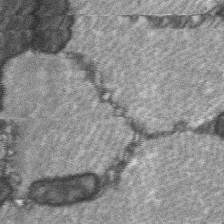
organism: C57BL Mouse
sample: Soleus